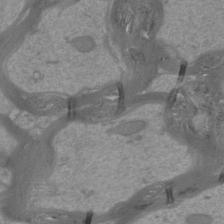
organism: Mouse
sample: Cortical neurons